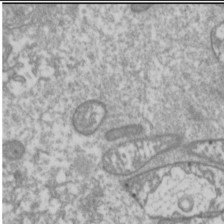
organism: Drosophila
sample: Cell division; meiosis; drosophila spermatocytes